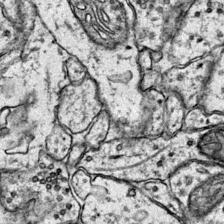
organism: Mouse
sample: Primary visual cortex